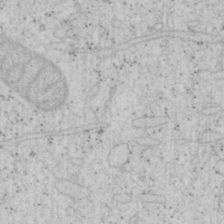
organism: Human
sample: HeLa cells